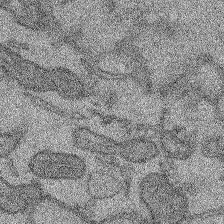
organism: Human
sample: HeLa cells